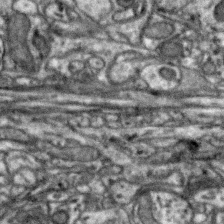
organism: Zebra finch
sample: Brain